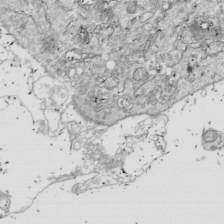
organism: Drosophila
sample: Cell division; meiosis; drosophila spermatocytes